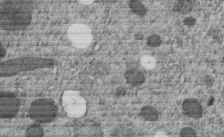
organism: C. elegans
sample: C. elegans embryo early stage